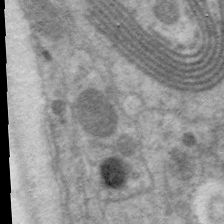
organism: C. elegans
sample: Pharynx